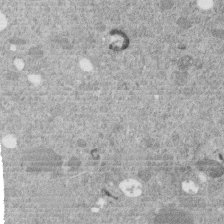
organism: C. elegans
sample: C. elegans embryo early stage